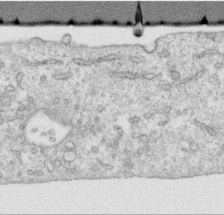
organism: Human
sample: Centriole in RPE cells